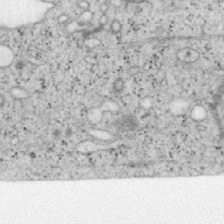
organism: Mouse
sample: OT-I killer T cells with ID8 ovarian cancer cells